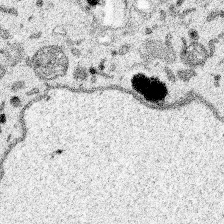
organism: Spongilla lacustris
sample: Multiple